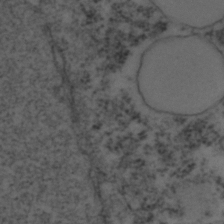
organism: C. elegans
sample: C. elegans embryo